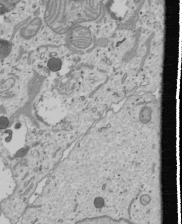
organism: Human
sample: Mitochondria in U2OS cells